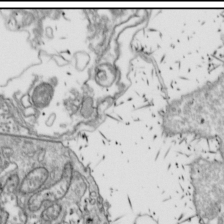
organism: Drosophila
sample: Cell division; meiosis; drosophila spermatocytes